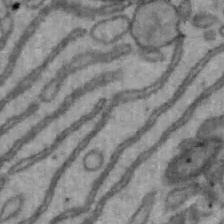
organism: Mouse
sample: Liver